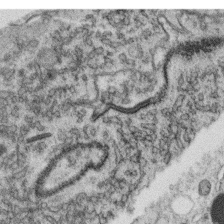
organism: C. elegans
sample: C. elegans oocyte; sperm cells